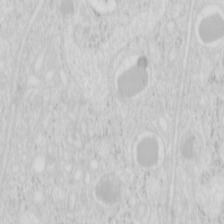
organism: Mouse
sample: Pancreas